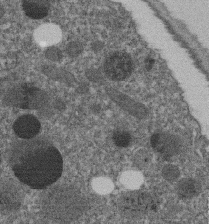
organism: C. elegans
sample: C. elegans embryo early stage